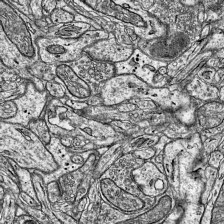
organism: Mouse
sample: Visual Cortex